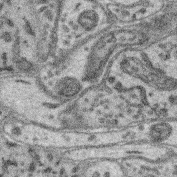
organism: Mouse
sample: Retina